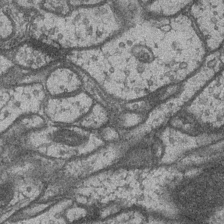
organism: Drosophila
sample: Optic medulla